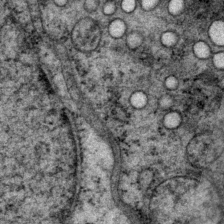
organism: P. pacificus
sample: Pharynx